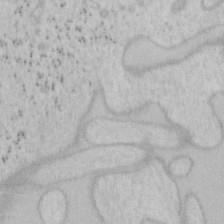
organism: Human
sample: HeLa cells